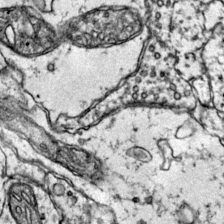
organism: Mouse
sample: Primary visual cortex